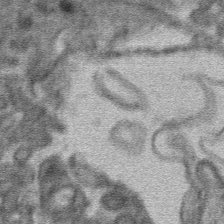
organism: Mouse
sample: Mouse hepatocytes